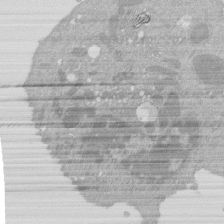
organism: Mouse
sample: Activated Pmel transgenic CD8+ T Cells